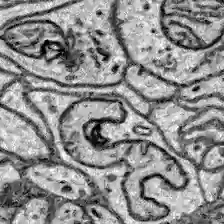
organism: Zebrafish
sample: Brain